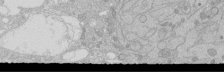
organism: Human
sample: Caco-2 cells